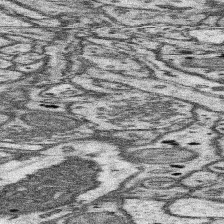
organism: Mouse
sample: Somatosensory cortex neuropil